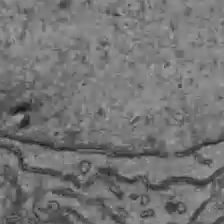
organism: C57BL Mouse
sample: Liver